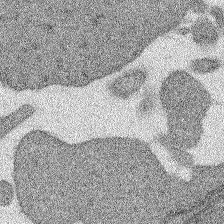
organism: Human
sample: HeLa cells